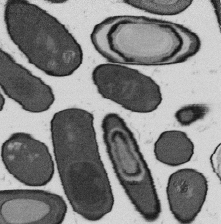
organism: B. subtilis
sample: Bacterial spore